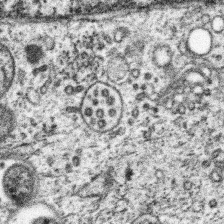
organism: Human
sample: HeLa cells